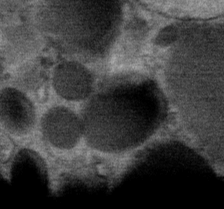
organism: Mouse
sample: Mouse Salivary gland